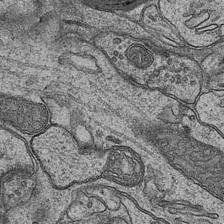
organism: Mouse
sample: CA1 Hippocampus